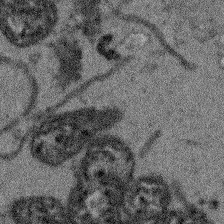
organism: Arabidopsis thaliana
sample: Root tip